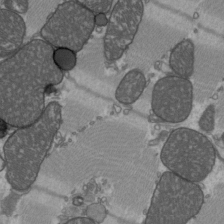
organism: C57BL Mouse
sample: Heart